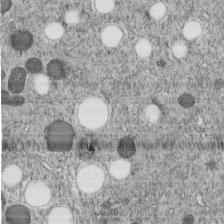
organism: C. elegans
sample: C. elegans embryo early stage